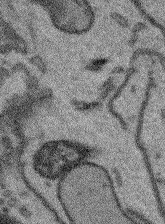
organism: Arabidopsis thaliana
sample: Root tip